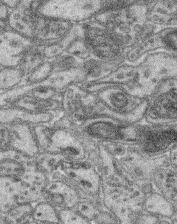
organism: Mouse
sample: Retina